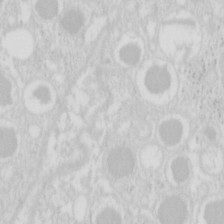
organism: Mouse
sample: Pancreas